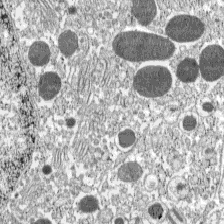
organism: C57BL Mouse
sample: Pancreatic islet